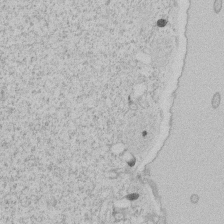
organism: Tetrahymena